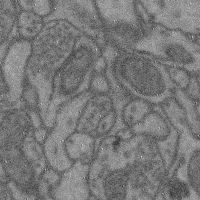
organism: Mouse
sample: Cerebral cortex